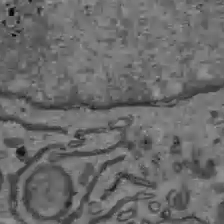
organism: C57BL Mouse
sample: Liver